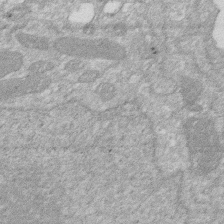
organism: Human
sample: HIV infected U937 cells